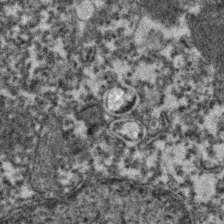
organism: Zebrafish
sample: Zebrafish embryo